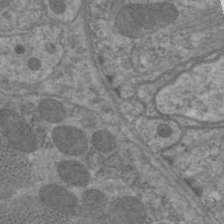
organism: C. elegans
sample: Pharynx